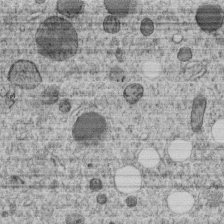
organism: C. elegans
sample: C. elegans embryo early stage